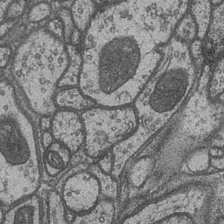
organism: Drosophila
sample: Optic medulla